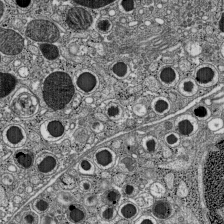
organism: C57BL Mouse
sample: Pancreatic islet